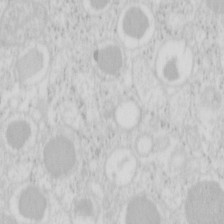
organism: Mouse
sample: Pancreas